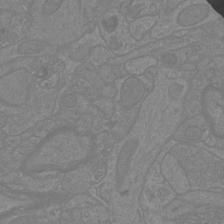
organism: Mouse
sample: Cortical neurons